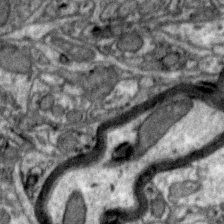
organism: Zebra finch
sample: Brain